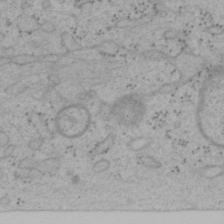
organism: Human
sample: HeLa cells